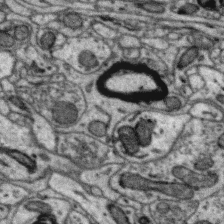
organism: Zebra finch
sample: Brain